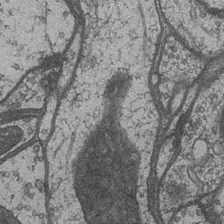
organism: Drosophila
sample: Optic medulla